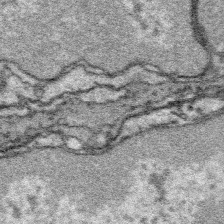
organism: Platynereis dumerilii